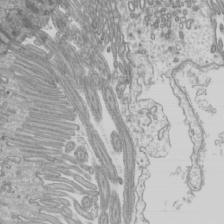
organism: Mouse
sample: Cilia; mouse epididymis